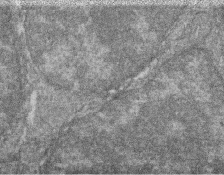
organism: Zebrafish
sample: Cilia; retinal pigment epithelium